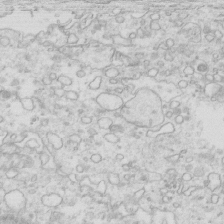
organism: Mouse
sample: Multiciliated cells